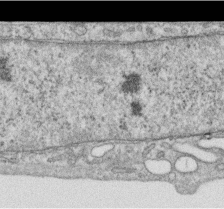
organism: Human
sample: Centriole in RPE cells